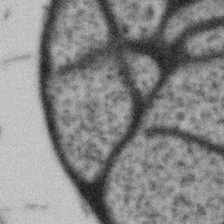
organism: Gemmata obscuriglobus